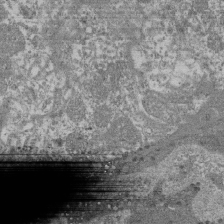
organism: Mouse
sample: Glomerulus